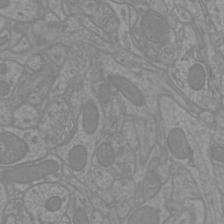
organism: Mouse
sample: Cortical neurons